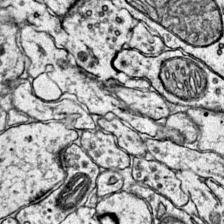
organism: Mouse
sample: Primary visual cortex